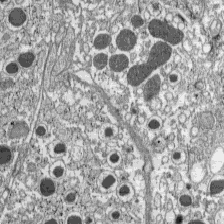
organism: C57BL Mouse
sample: Pancreatic islet